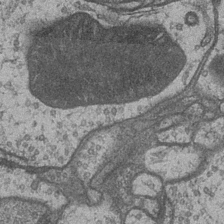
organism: Drosophila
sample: Optic medulla